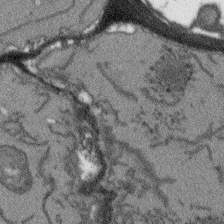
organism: Arabidopsis thaliana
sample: Root tip